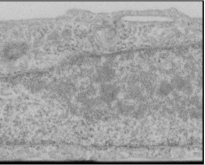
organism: Human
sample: Cilia; basal body in RPE cells